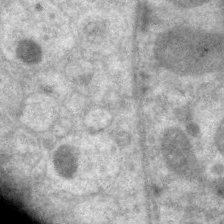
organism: C. elegans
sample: Pharynx